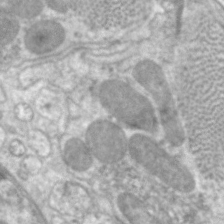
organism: C. elegans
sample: Pharynx